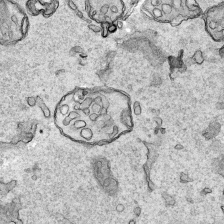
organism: Human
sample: Mitochondria in HCT116 cells